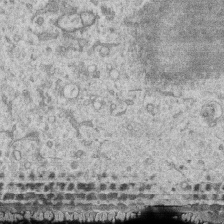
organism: Human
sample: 1205lu cells